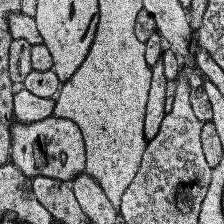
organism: Human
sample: Temporal Lobe